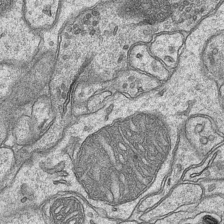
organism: Mouse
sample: CA1 Hippocampus